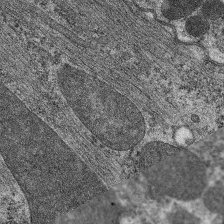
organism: C. elegans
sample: Pharynx